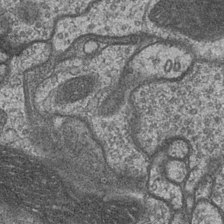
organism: Drosophila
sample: Optic medulla